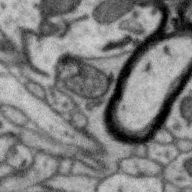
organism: Zebra finch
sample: Brain